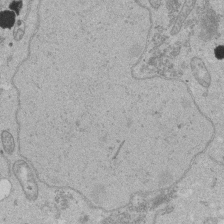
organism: Human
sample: Activated Jurkat CD4+ T cells